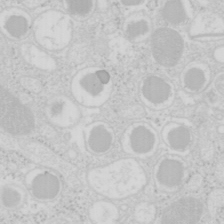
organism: Mouse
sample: Pancreas